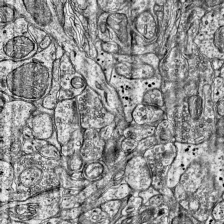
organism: Mouse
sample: Visual Cortex